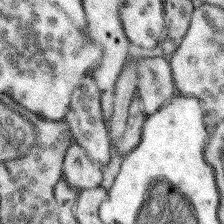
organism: Mouse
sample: Somatosensory cortex neuropil